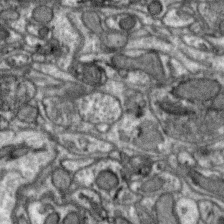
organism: Zebra finch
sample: Brain